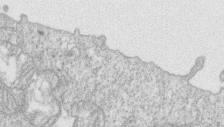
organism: Human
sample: HeLa cell HIV synapse